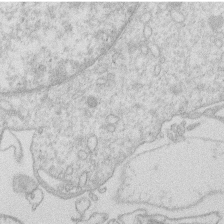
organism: Human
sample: Macrophage cells